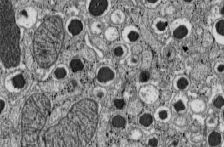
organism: C57BL Mouse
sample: Pancreatic islet